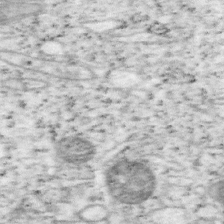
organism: Mouse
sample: OT-I killer T cells with ID8 ovarian cancer cells